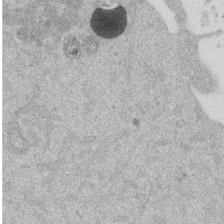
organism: Mouse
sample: Dividing mouse embryo 1 cell stage